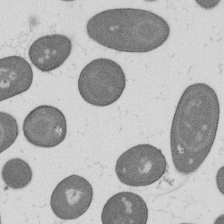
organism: B. subtilis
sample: Bacterial spore